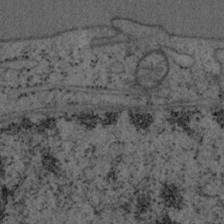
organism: Human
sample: HeLa cells